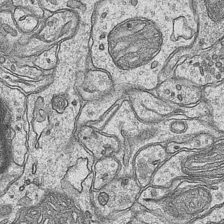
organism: Mouse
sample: CA1 Hippocampus